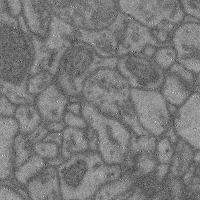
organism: Mouse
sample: Cerebral cortex